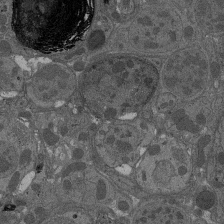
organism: Drosophila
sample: Antenna